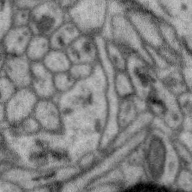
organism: Zebra finch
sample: Brain